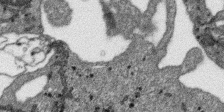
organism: Human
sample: Lung epithelial cells infected with SARS-CoV-2